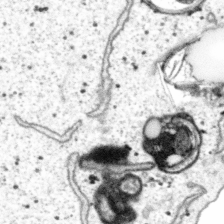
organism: Human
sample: HeLa cells